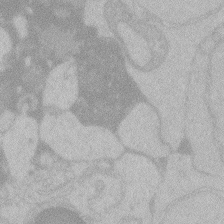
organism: Zebrafish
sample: Macrophage infected with Toxoplasma gondii